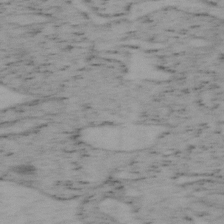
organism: Mouse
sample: OT-I killer T cells with ID8 ovarian cancer cells